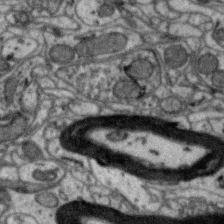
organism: Zebra finch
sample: Brain